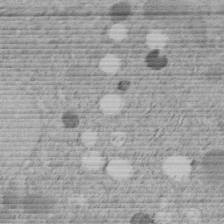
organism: C. elegans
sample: C. elegans embryo early stage